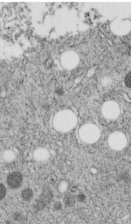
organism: C. elegans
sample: C. elegans embryo early stage